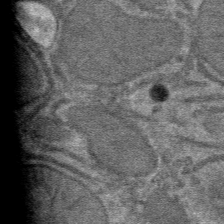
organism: Mouse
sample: Mouse hepatocytes